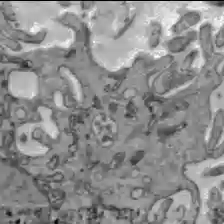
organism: C57BL Mouse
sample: Liver